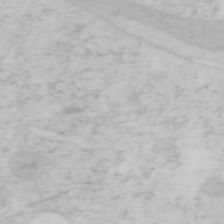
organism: Mouse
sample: OT-I killer T cells with ID8 ovarian cancer cells